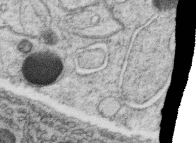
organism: C. elegans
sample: C. elegans oocyte; sperm cells